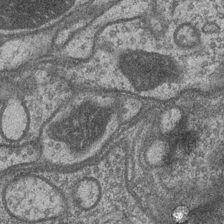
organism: Drosophila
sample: Optic medulla